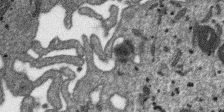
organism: Human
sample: Lung epithelial cells infected with SARS-CoV-2